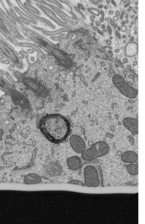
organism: Mouse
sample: Mouse epididymis efferent ductule cilia